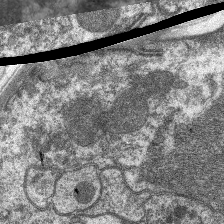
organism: C. elegans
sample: Pharynx